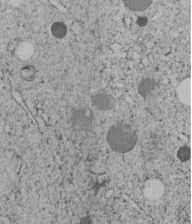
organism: C. elegans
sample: C. elegans embryo early stage